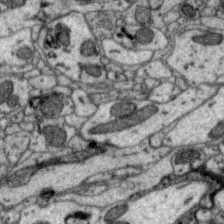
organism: Zebra finch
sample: Brain